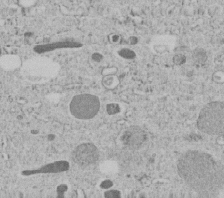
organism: C. elegans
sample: C. elegans embryo early stage